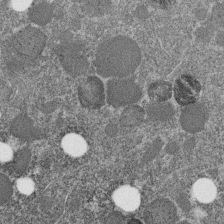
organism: C. elegans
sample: C. elegans embryo early stage